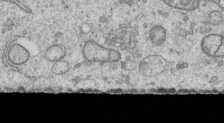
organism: Human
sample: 1205lu cells